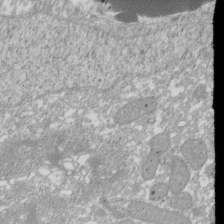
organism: Xenopus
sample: Cilia; centrioles in frog embryo cells